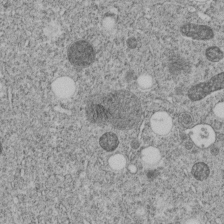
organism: C. elegans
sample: C. elegans embryo early stage